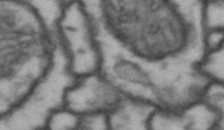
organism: Drosophila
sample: Brain